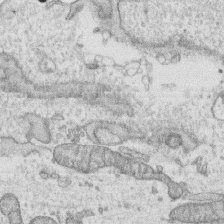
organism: Human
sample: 1205lu cells